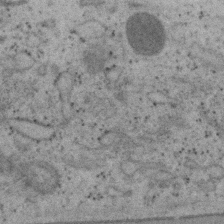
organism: Human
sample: HeLa cells